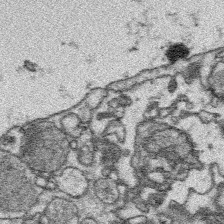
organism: Platynereis dumerilii